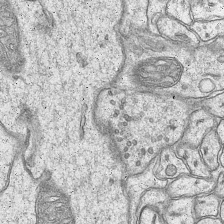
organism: Mouse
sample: CA1 Hippocampus